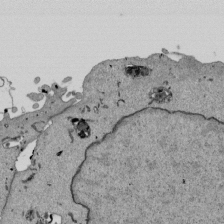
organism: Mouse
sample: ED-1 cell nuclei; centrioles